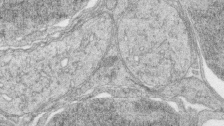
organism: Zebrafish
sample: synaptic ribbons in rod cells and cone cells